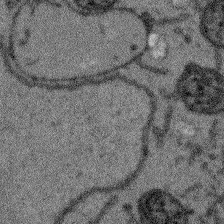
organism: Arabidopsis thaliana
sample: Root tip